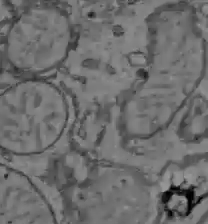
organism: C57BL Mouse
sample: Liver